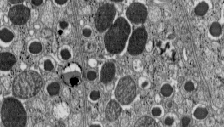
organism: C57BL Mouse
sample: Pancreatic islet